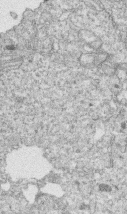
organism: Human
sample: HeLa cell HIV synapse